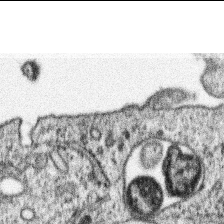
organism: Human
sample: HeLa cells